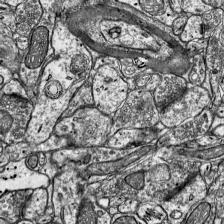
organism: Mouse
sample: Visual Cortex